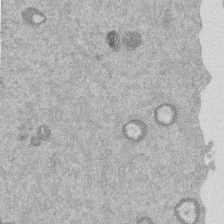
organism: Mouse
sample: Dividing mouse embryo 1 cell stage